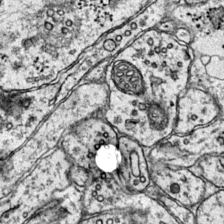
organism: Mouse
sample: Primary visual cortex